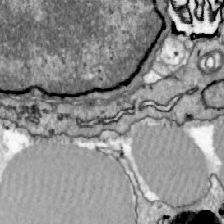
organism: Zebrafish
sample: Actinotrichia fibers